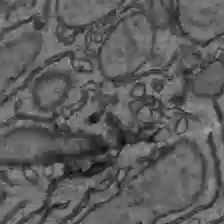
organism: C57BL Mouse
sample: Liver